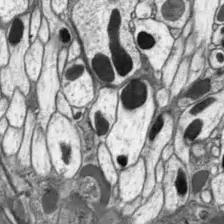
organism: Drosophila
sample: Optic lobe